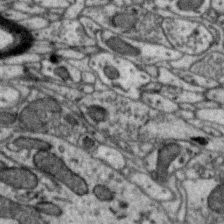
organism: Zebra finch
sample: Brain